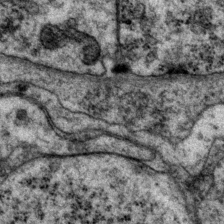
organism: P. pacificus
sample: Pharynx